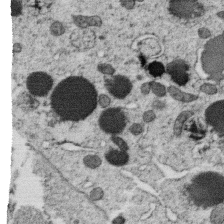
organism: C. elegans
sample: C. elegans oocyte; sperm cells